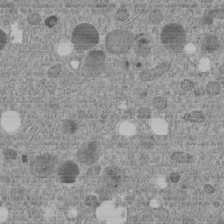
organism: C. elegans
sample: C. elegans embryo early stage